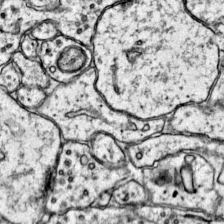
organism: Mouse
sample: Primary visual cortex